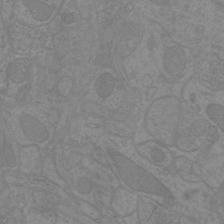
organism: Mouse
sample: Cortical neurons